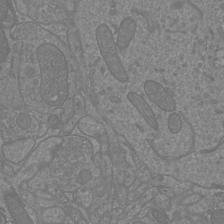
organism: Mouse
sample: Cortical neurons